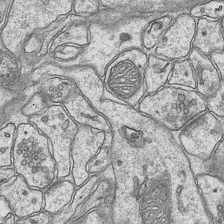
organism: Mouse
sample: CA1 Hippocampus